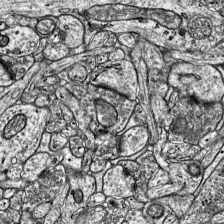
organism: Mouse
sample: Visual Cortex